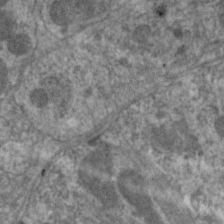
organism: C. elegans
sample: Pharynx